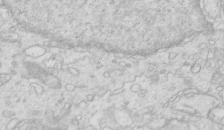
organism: Mouse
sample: Multiciliated cells